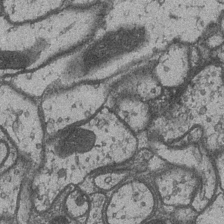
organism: Drosophila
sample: Optic medulla